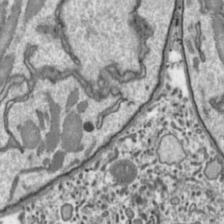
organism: Toxoplasma gondii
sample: Parasites in a vacuole inside a host cell